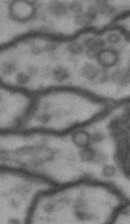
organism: Drosophila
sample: Brain